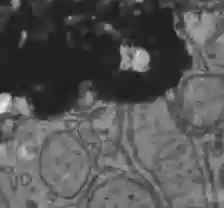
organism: C57BL Mouse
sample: Liver